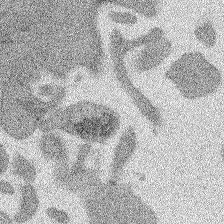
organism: Human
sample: HeLa cells